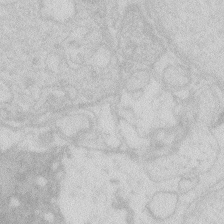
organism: Zebrafish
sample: Macrophage